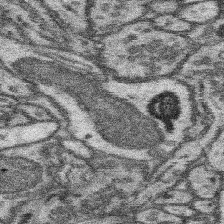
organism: Mouse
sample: Somatosensory cortex neuropil